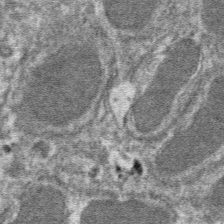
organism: Mouse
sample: Mouse hepatocytes